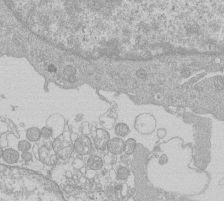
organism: Human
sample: Macrophage cells